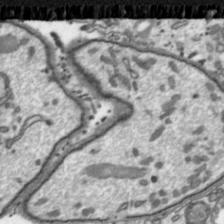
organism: Toxoplasma gondii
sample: Parasites in a vacuole inside a host cell